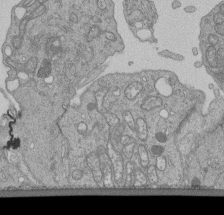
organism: Human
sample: Retinal organoid Rod and Cone cells